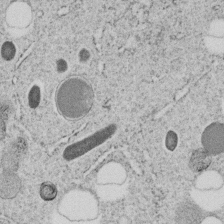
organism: C. elegans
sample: C. elegans embryo early stage